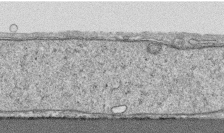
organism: Human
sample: CRL-1474